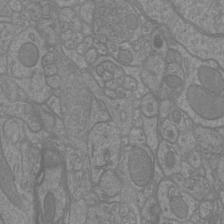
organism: Mouse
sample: Cortical neurons